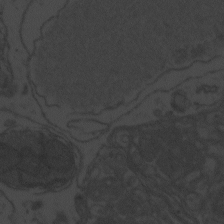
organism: Zebrafish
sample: Macrophage infected with Toxoplasma gondii